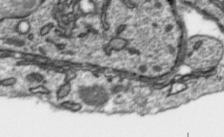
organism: Toxoplasma gondii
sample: Parasites in a vacuole inside a host cell